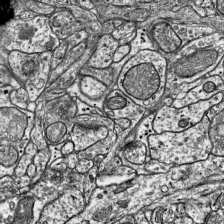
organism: Mouse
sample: Visual Cortex